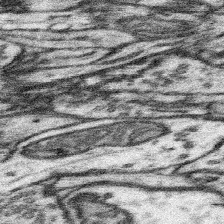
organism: Mouse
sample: Somatosensory cortex neuropil